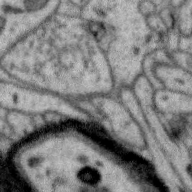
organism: Zebra finch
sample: Brain